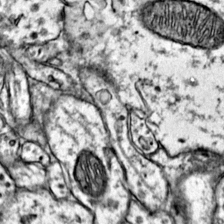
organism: Mouse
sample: Primary visual cortex